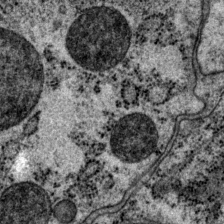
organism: P. pacificus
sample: Pharynx